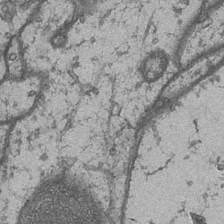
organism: Drosophila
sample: Optic medulla